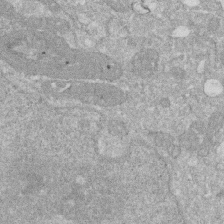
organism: Human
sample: HIV infected U937 cells